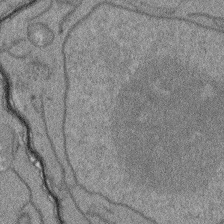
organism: Arabidopsis thaliana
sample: Root tip